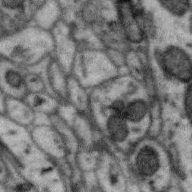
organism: Zebra finch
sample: Brain